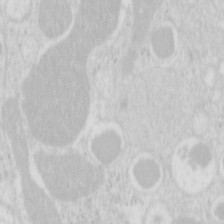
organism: Mouse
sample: Pancreas